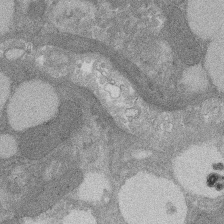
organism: Rat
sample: Salivary granule